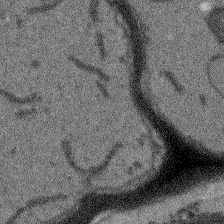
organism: Arabidopsis thaliana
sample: Root tip